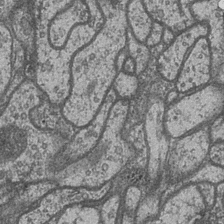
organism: Drosophila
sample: Optic medulla